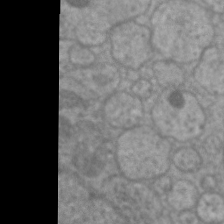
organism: C. elegans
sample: Pharynx